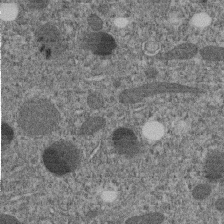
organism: C. elegans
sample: C. elegans embryo early stage